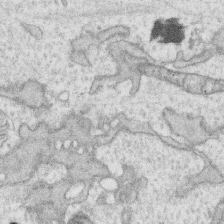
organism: Human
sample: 1205lu cells